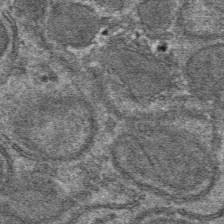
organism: Mouse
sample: Mouse hepatocytes